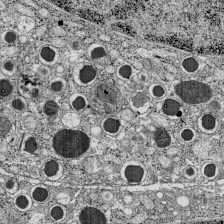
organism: C57BL Mouse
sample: Pancreatic islet